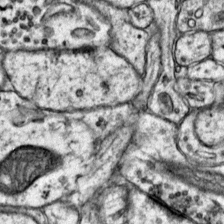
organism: Mouse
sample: Primary visual cortex